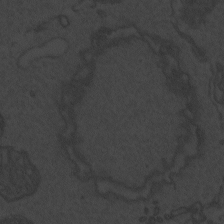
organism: Zebrafish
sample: Macrophage infected with Toxoplasma gondii